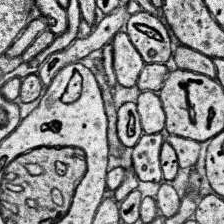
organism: Human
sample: Temporal Lobe